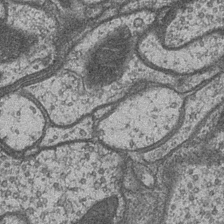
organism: Drosophila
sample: Optic medulla